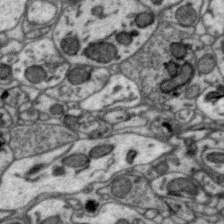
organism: Zebra finch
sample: Brain